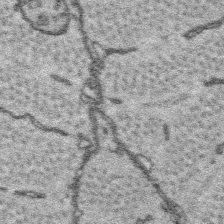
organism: Platynereis dumerilii